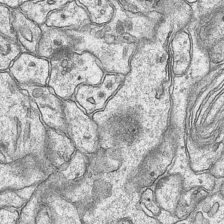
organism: Mouse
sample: CA1 Hippocampus